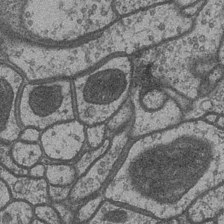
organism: Drosophila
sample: Optic medulla